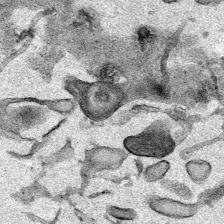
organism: Mouse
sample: Cancer cell death in ED-1 cells